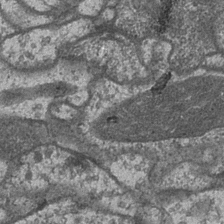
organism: Drosophila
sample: Optic medulla